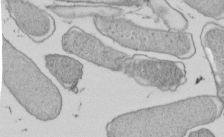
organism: E. coli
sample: Bacterial nucleoid